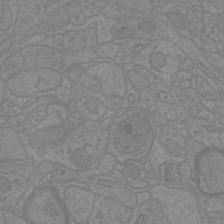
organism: Mouse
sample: Cortical neurons